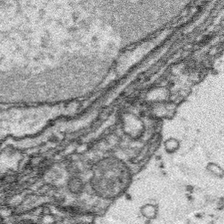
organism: Platynereis dumerilii